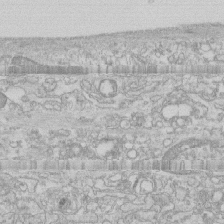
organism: Human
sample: CRL-1474